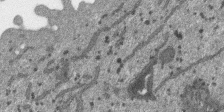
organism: Human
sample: Lung epithelial cells infected with SARS-CoV-2